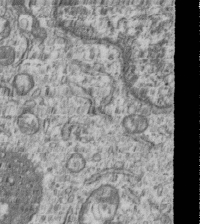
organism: Human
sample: MDA-MB-231 cells